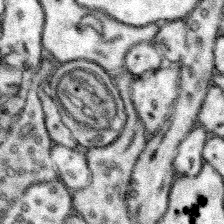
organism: Mouse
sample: Somatosensory cortex neuropil